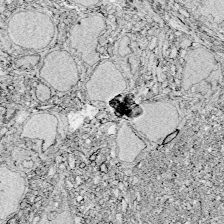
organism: Zebrafish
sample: Whole-Brain